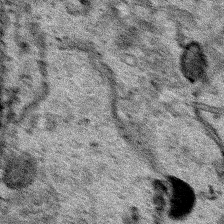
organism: Human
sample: Mitochondria in HCT116 cells